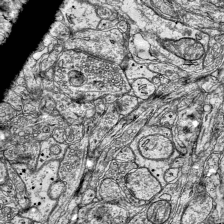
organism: Mouse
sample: Visual Cortex